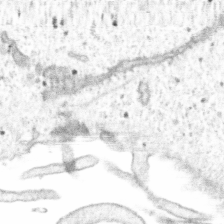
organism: Human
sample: HeLa cells